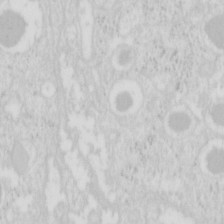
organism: Mouse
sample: Pancreas